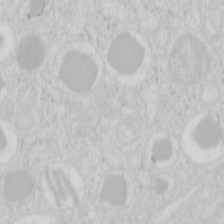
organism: Mouse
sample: Pancreas